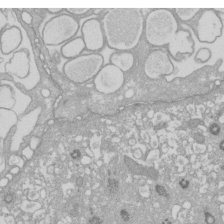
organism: Xenopus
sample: Cilia; centrioles in frog embryo cells